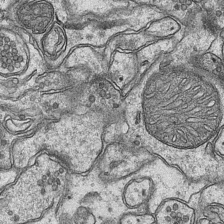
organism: Mouse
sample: CA1 Hippocampus